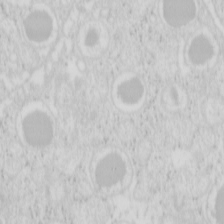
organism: Mouse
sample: Pancreas